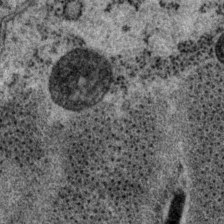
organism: P. pacificus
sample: Pharynx